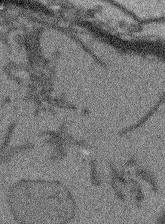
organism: Arabidopsis thaliana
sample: Root tip